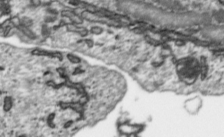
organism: Toxoplasma gondii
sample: Parasites in a vacuole inside a host cell